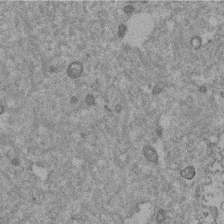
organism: Mouse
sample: Dividing mouse embryo 1 cell stage